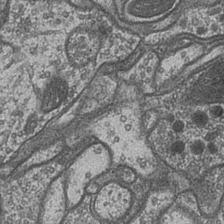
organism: Drosophila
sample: Optic medulla